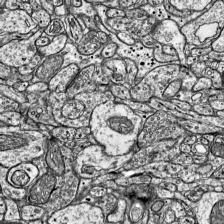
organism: Mouse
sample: Visual Cortex